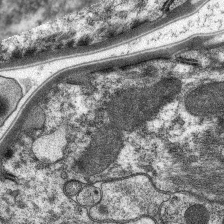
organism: C. elegans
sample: Pharynx